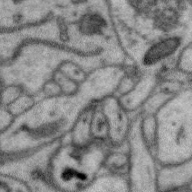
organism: Zebra finch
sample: Brain